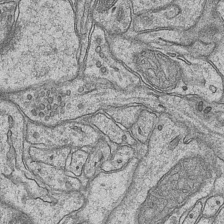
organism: Mouse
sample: CA1 Hippocampus